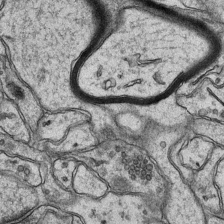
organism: Mouse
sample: CA1 Hippocampus